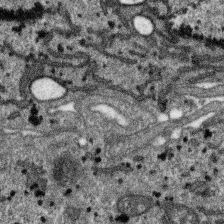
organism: Human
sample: Lung epithelial cells infected with SARS-CoV-2